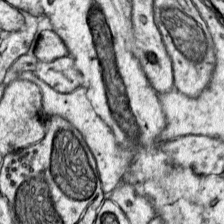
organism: Mouse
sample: Primary visual cortex